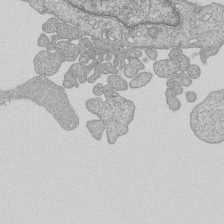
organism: Human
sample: MDA-MB-231 cells